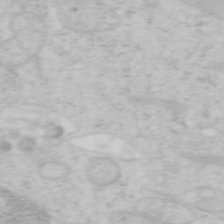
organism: Mouse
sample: OT-I killer T cells with ID8 ovarian cancer cells